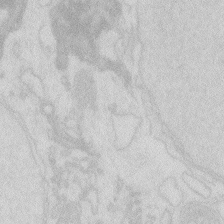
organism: Zebrafish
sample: Macrophage